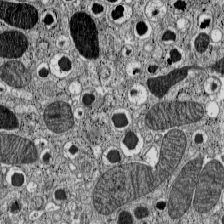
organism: C57BL Mouse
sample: Pancreatic islet